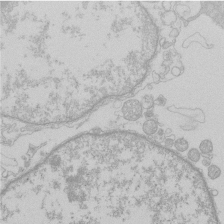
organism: Human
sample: Macrophage cells